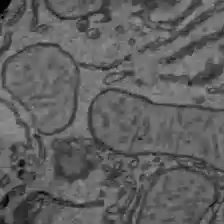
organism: C57BL Mouse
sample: Liver